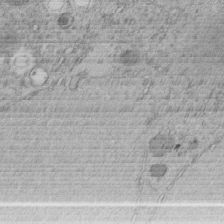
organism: C. elegans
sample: C. elegans embryo early stage